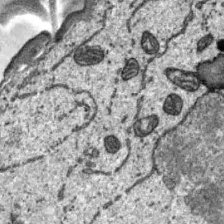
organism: Human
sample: HeLa cells